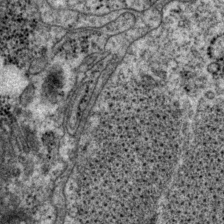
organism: P. pacificus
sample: Pharynx